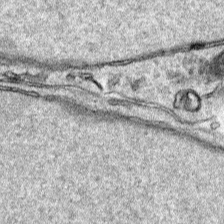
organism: Human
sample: Mitochondria in HCT116 cells